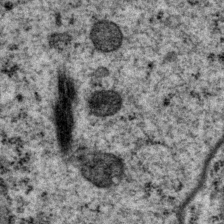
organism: P. pacificus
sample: Pharynx